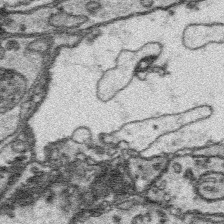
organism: Platynereis dumerilii